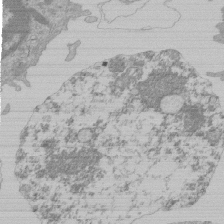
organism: Mouse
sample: Activated Pmel transgenic CD8+ T Cells